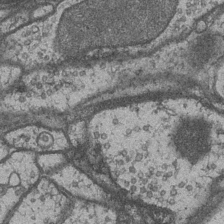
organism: Drosophila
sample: Optic medulla